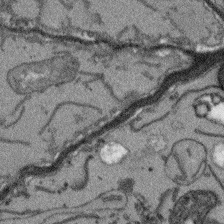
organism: Arabidopsis thaliana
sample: Root tip